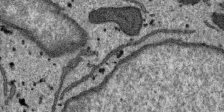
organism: Human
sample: Lung epithelial cells, uninfected (mock) control